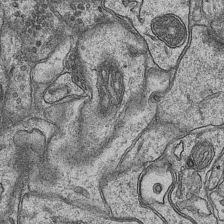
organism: Mouse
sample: CA1 Hippocampus